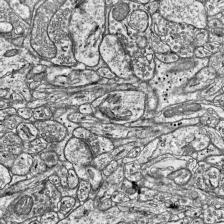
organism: Mouse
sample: Visual Cortex